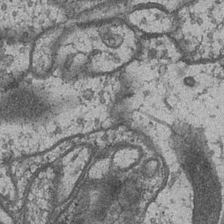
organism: Drosophila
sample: Optic medulla